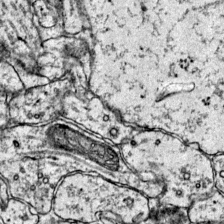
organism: Mouse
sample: Primary visual cortex